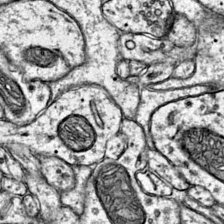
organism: Mouse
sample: Primary visual cortex